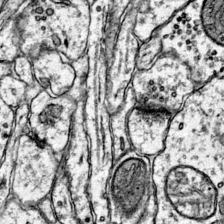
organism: Mouse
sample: Primary visual cortex